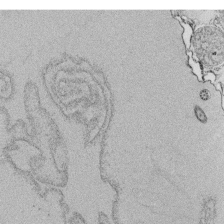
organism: Tetrahymena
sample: Cilia in tetrahymena